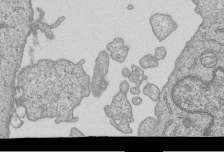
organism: Human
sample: MDA-MB-231 cells